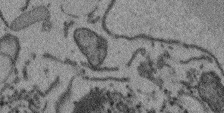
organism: Arabidopsis thaliana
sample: Root tip